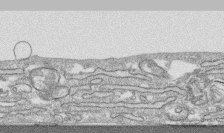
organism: Human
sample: CRL-1474